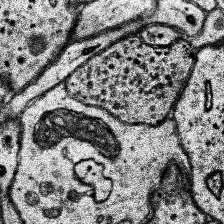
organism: Human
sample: Temporal Lobe